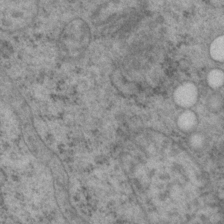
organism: P. pacificus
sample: Pharynx